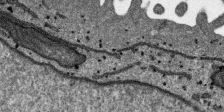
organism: Human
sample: Lung epithelial cells, uninfected (mock) control